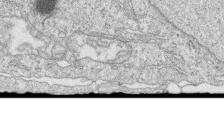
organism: Human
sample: HeLa cell HIV synapse